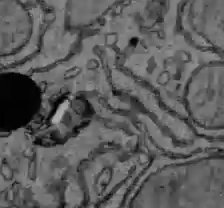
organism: C57BL Mouse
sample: Liver